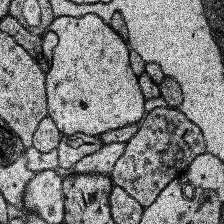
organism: Human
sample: Temporal Lobe